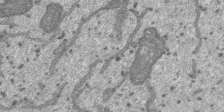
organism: Human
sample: Lung epithelial cells infected with SARS-CoV-2